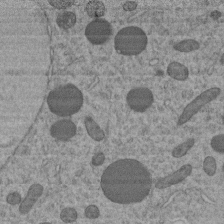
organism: C. elegans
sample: C. elegans embryo early stage